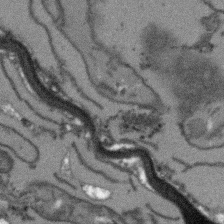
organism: Arabidopsis thaliana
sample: Root tip